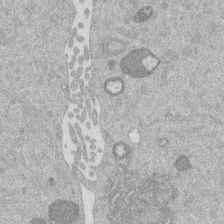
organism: Mouse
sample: Dividing mouse embryo 1 cell stage